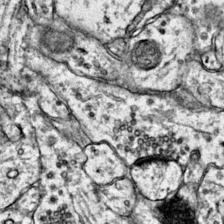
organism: Mouse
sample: Primary visual cortex